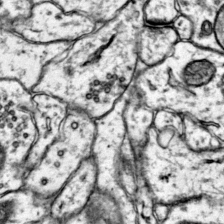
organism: Mouse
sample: Primary visual cortex